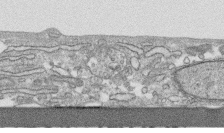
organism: Human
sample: CRL-1474